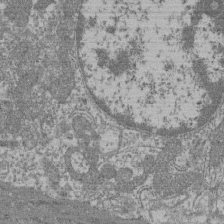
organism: Mouse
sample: Glomerulus